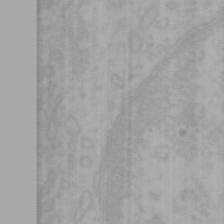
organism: Mouse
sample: Choroid plexus